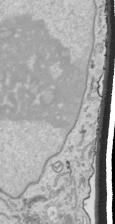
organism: Human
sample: Mitochondria in HCT116 cells